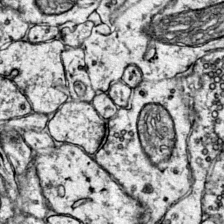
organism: Mouse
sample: Primary visual cortex